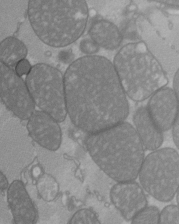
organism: C57BL Mouse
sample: Heart